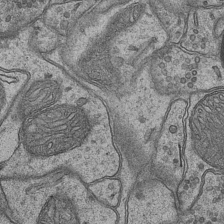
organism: Mouse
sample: CA1 Hippocampus